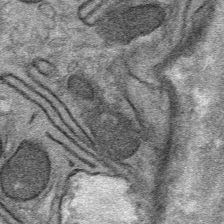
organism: Mouse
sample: Mouse Salivary gland